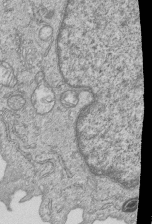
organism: Human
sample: MDA-MB-231 cells